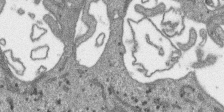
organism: Human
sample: Lung epithelial cells infected with SARS-CoV-2